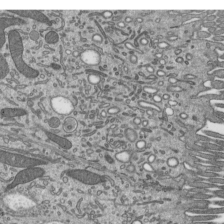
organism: Mouse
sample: Mouse epididymis efferent ductule cilia